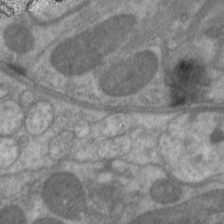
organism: C. elegans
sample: Pharynx